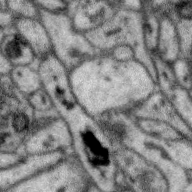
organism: Zebra finch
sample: Brain